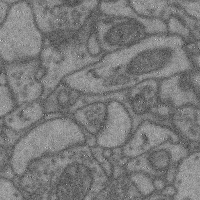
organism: Mouse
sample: Cerebral cortex